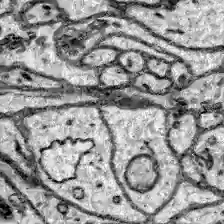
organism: Zebrafish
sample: Brain